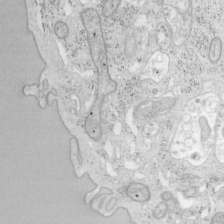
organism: Mouse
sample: OT-I killer T cells with ID8 ovarian cancer cells